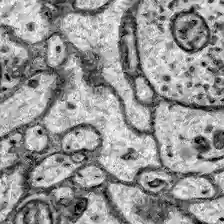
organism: Zebrafish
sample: Brain